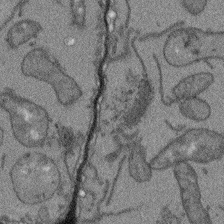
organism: Arabidopsis thaliana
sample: Root tip